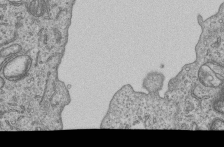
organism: Human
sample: MDA-MB-231 cells